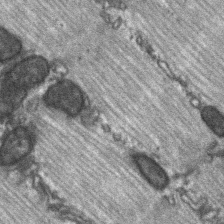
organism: C57BL Mouse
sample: Soleus